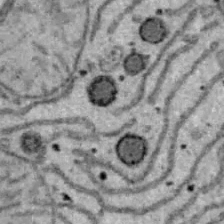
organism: Mouse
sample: Liver from an obese (ob/ob) mouse